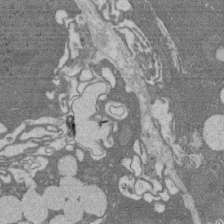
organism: Rat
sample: Salivary granule